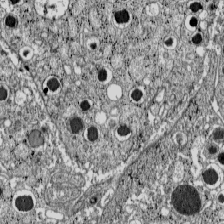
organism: C57BL Mouse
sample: Pancreatic islet